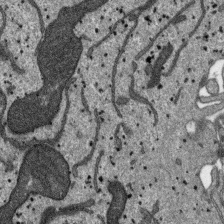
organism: Human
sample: Lung epithelial cells, uninfected (mock) control